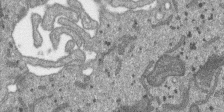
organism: Human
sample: Lung epithelial cells infected with SARS-CoV-2